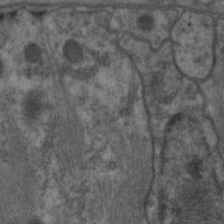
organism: C. elegans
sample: Pharynx